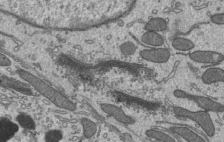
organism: Mouse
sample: Mouse epididymis efferent ductule cilia